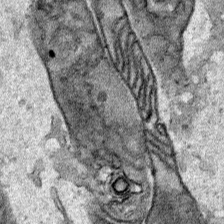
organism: Human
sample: Mitochondria in HCT116 cells